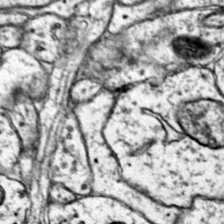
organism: Mouse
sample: Primary visual cortex